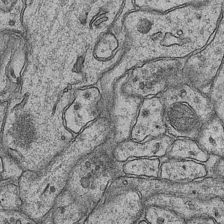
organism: Mouse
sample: CA1 Hippocampus